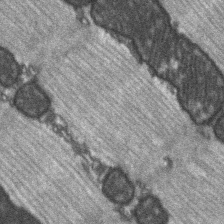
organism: C57BL Mouse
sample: Soleus